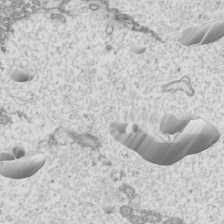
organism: Mouse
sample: Cilia; mouse epididymis